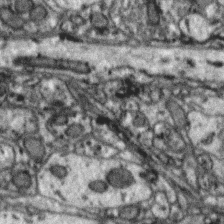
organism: Zebra finch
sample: Brain